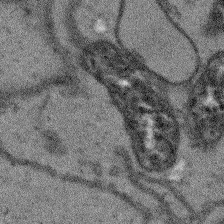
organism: Arabidopsis thaliana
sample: Root tip